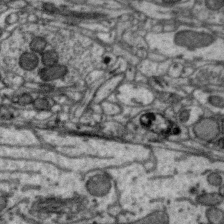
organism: Zebra finch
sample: Brain